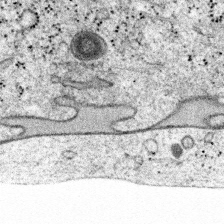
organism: Human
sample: HeLa cells